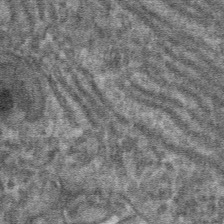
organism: Mouse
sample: Mouse hepatocytes